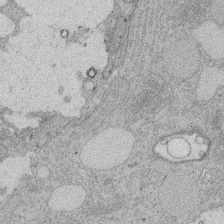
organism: Rat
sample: Salivary granule